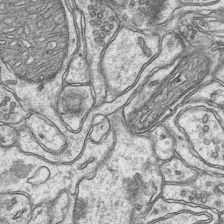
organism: Mouse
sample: CA1 Hippocampus